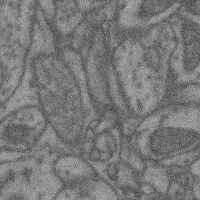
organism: Mouse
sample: Cerebral cortex